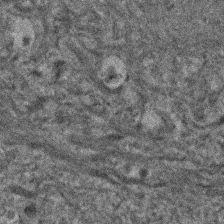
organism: Human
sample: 1205lu cells